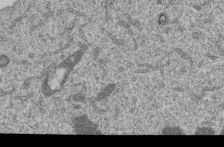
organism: Human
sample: MDA-MB-231 cells